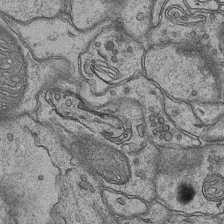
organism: Mouse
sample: CA1 Hippocampus